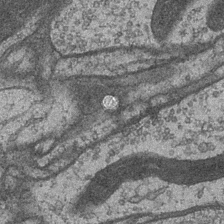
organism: Drosophila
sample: Optic medulla